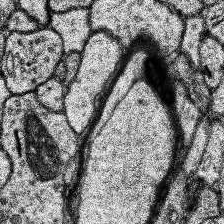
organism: Human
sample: Temporal Lobe